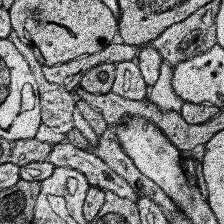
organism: Human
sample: Temporal Lobe